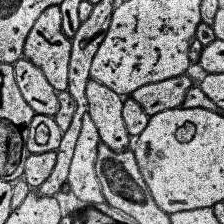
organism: Human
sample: Temporal Lobe